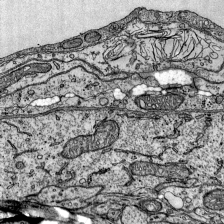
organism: Mouse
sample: Visual Cortex